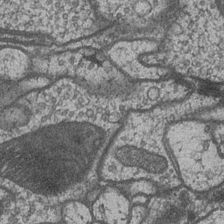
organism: Drosophila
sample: Optic medulla